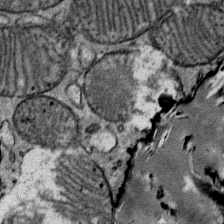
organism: Mouse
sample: Mouse Salivary gland